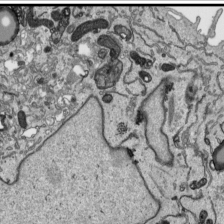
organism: Human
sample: Mitochondria in HCT116 cells